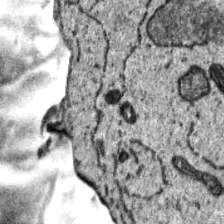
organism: Human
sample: HeLa cells